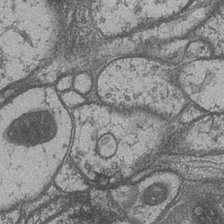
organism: Drosophila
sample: Optic medulla